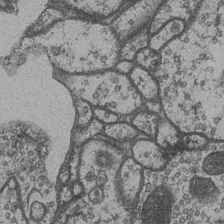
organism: Drosophila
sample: Optic medulla